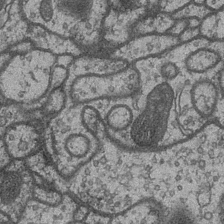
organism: Drosophila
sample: Optic medulla